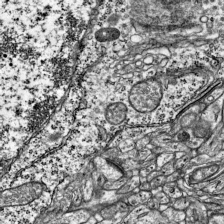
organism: Mouse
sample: Visual Cortex